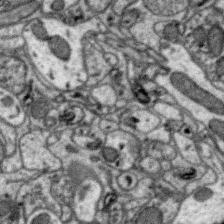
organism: Zebra finch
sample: Brain